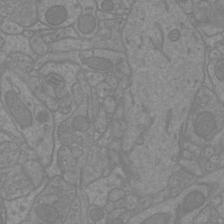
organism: Mouse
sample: Cortical neurons